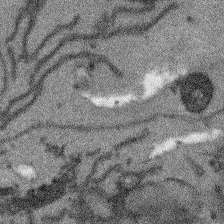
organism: Arabidopsis thaliana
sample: Root tip